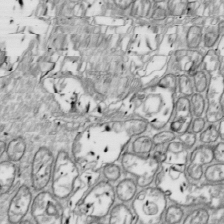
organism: Drosophila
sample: Cell division; meiosis; drosophila spermatocytes